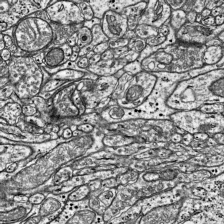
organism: Mouse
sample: Visual Cortex